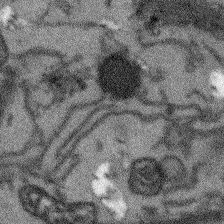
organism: Arabidopsis thaliana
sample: Root tip